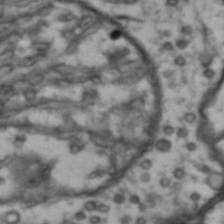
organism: Drosophila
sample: Brain